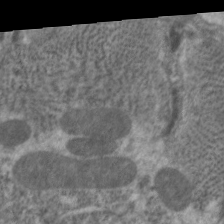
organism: C. elegans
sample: Pharynx